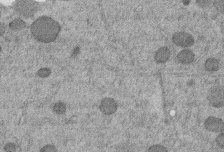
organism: C. elegans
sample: C. elegans embryo early stage